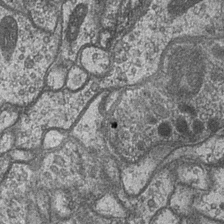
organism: Drosophila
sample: Optic medulla